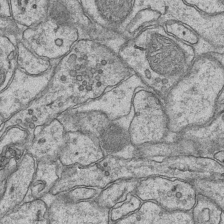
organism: Mouse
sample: CA1 Hippocampus